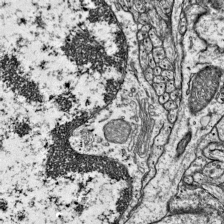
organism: Mouse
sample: Visual Cortex